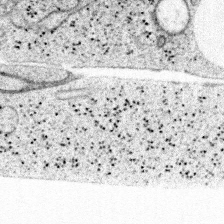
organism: Human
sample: HeLa cells